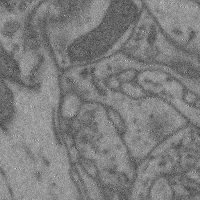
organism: Mouse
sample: Cerebral cortex